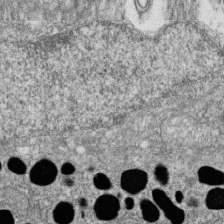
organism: Zebrafish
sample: Cilia; retinal pigment epithelium